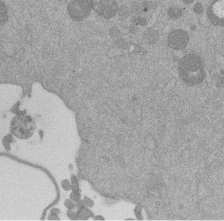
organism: Mouse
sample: Dividing mouse embryo 1 cell stage